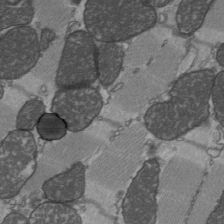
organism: C57BL Mouse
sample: Heart